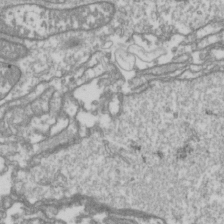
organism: Drosophila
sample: Cell division; meiosis; drosophila spermatocytes